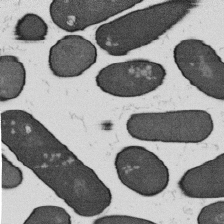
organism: B. subtilis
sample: Bacterial spore